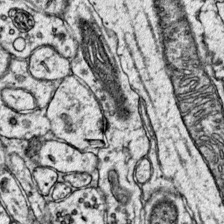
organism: Mouse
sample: Primary visual cortex